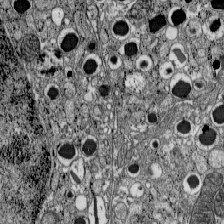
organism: C57BL Mouse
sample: Pancreatic islet